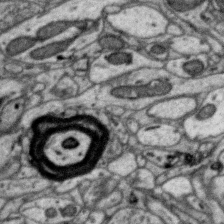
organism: Zebra finch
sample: Brain